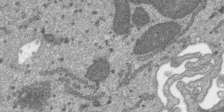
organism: Human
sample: Lung epithelial cells infected with SARS-CoV-2